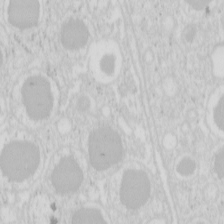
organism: Mouse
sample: Pancreas